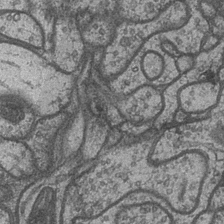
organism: Drosophila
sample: Optic medulla